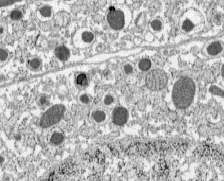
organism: C57BL Mouse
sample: Pancreatic islet